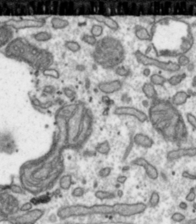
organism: Toxoplasma gondii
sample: Parasites in a vacuole inside a host cell